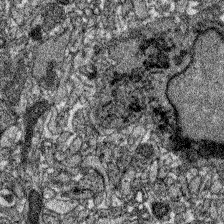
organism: Zebrafish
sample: Larval olfactory bulb